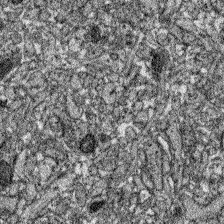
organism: Zebrafish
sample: Larval olfactory bulb